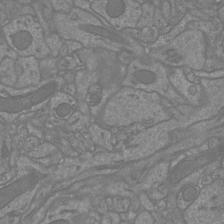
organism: Mouse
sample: Cortical neurons